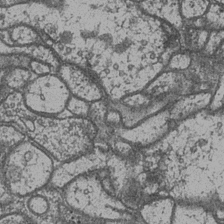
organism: Drosophila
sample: Optic medulla